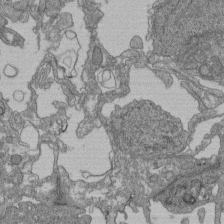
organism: Human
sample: Retinal organoid Rod and Cone cells